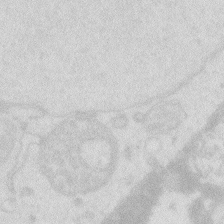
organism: Zebrafish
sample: Macrophage